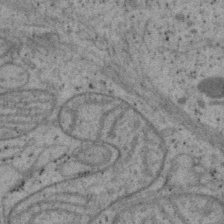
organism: Human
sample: HeLa cells